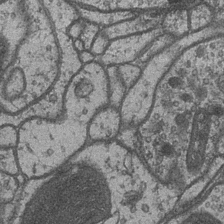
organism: Drosophila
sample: Optic medulla